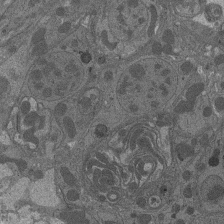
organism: Drosophila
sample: Antenna